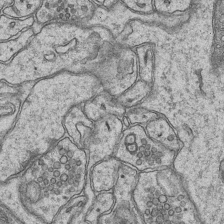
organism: Mouse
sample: CA1 Hippocampus